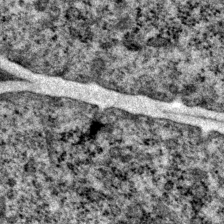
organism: P. pacificus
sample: Pharynx